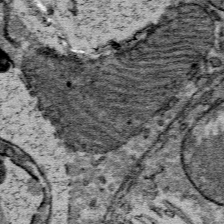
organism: Mouse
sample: Mouse Salivary gland